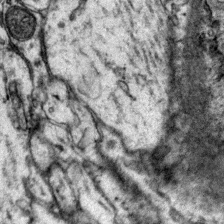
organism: Mouse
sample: Primary visual cortex